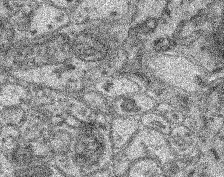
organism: Mouse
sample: Retina